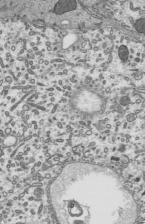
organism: Mouse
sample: Mouse epididymis efferent ductule cilia